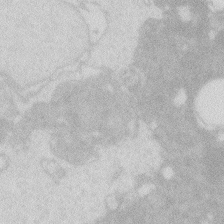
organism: Zebrafish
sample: Macrophage